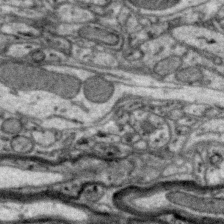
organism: Zebra finch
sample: Brain